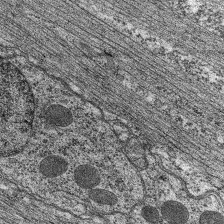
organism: C. elegans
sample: Pharynx